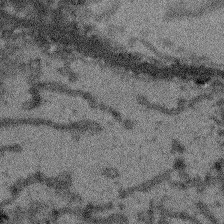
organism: Arabidopsis thaliana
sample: Root tip